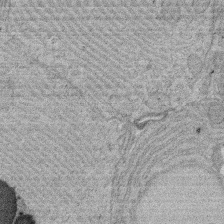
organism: Rat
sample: Salivary granule